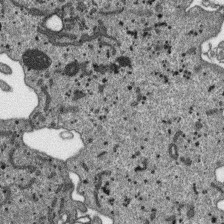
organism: Human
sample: Lung epithelial cells infected with SARS-CoV-2